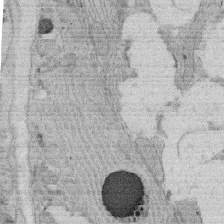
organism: Rat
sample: Salivary granule